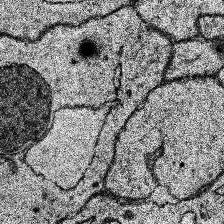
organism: Human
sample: Temporal Lobe